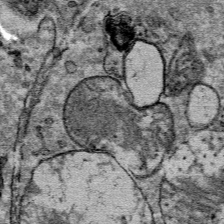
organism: Mouse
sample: Mouse Salivary gland